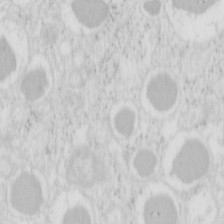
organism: Mouse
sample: Pancreas